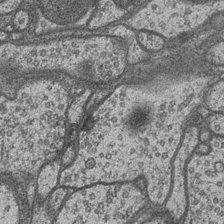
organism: Drosophila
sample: Optic medulla